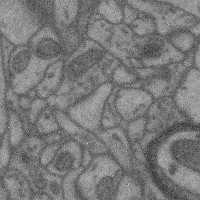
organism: Mouse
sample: Cerebral cortex